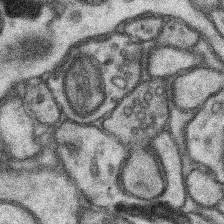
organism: Mouse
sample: Somatosensory cortex neuropil